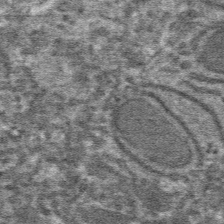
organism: Mouse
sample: Mouse hepatocytes